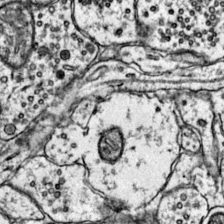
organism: Mouse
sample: Primary visual cortex